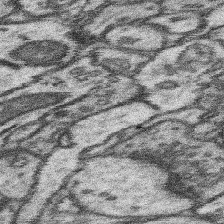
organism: Mouse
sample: Somatosensory cortex neuropil